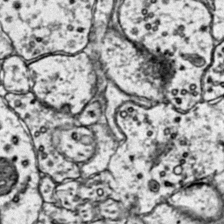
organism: Mouse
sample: Primary visual cortex